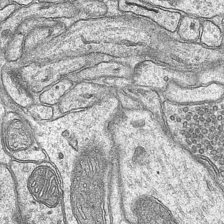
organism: Mouse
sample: CA1 Hippocampus